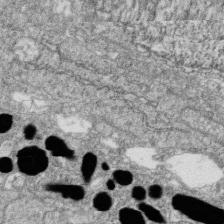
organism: Zebrafish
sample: Cilia; retinal pigment epithelium